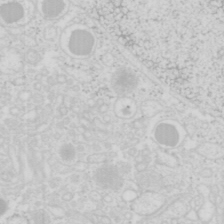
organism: Mouse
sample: Pancreas